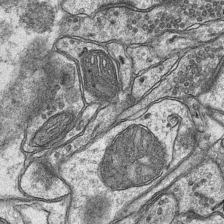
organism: Mouse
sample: CA1 Hippocampus